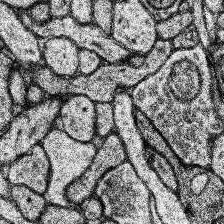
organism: Human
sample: Temporal Lobe